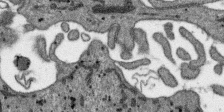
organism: Human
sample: Lung epithelial cells, uninfected (mock) control